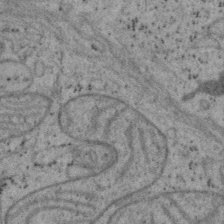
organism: Human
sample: HeLa cells